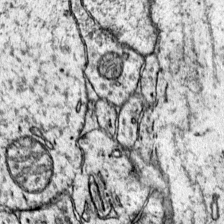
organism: Mouse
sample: Primary visual cortex